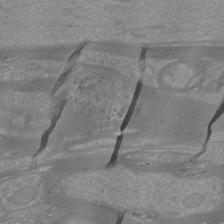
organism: Mouse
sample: Cortical neurons